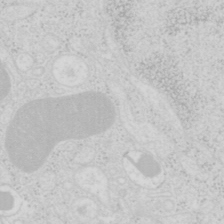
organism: Mouse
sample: Pancreas